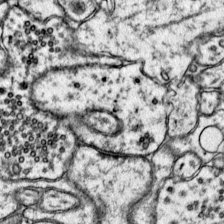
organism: Mouse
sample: Primary visual cortex